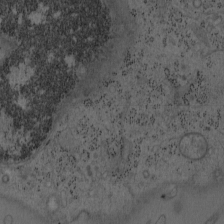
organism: Mouse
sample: OT-I killer T cells with ID8 ovarian cancer cells